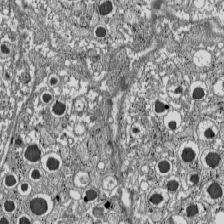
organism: C57BL Mouse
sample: Pancreatic islet